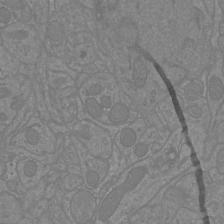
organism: Mouse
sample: Cortical neurons